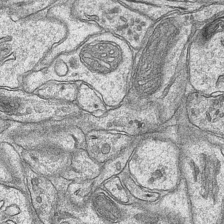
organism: Mouse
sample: CA1 Hippocampus